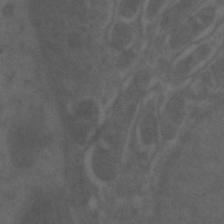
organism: Zebrafish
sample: Zebrafish embryo